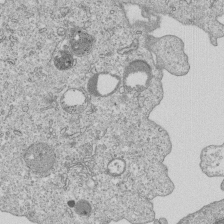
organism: Human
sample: MDA-MB-231 cells